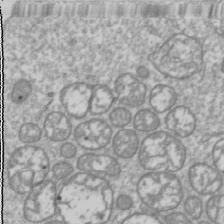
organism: Drosophila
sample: Cell division; meiosis; drosophila spermatocytes